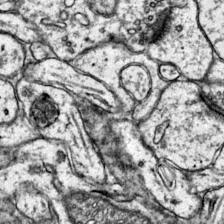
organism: Mouse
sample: Primary visual cortex